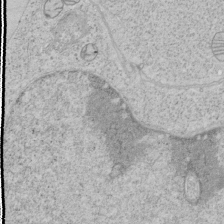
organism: Human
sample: Mitochondria in HCT116 cells